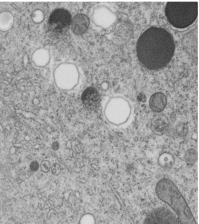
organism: C. elegans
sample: C. elegans embryo early stage